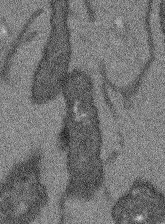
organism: Arabidopsis thaliana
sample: Root tip